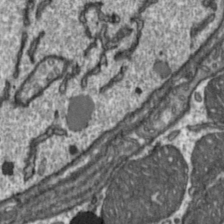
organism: Toxoplasma gondii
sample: Parasites in a vacuole inside a host cell